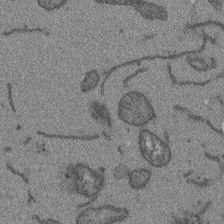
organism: Arabidopsis thaliana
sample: Root tip